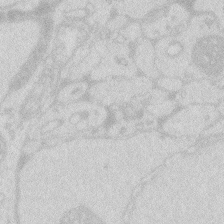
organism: Zebrafish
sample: Macrophage